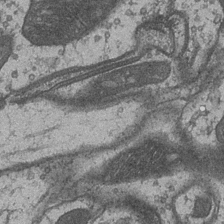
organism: Drosophila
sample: Optic medulla